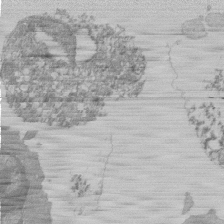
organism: Mouse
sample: Activated Pmel transgenic CD8+ T Cells